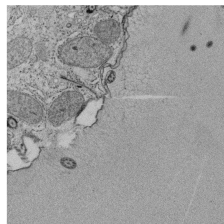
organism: Tetrahymena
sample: Cilia in tetrahymena